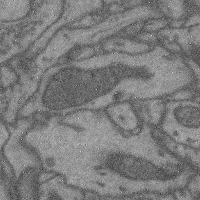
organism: Mouse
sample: Cerebral cortex